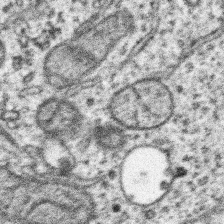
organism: Human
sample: HeLa cells